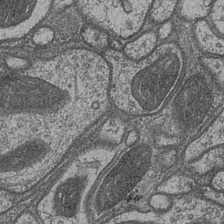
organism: Drosophila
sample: Optic medulla